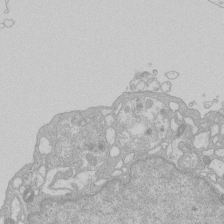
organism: Human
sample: Macrophage cells